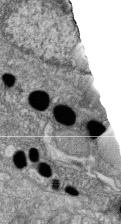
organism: Zebrafish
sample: Cilia; retinal pigment epithelium